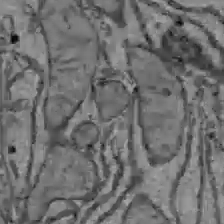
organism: C57BL Mouse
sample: Liver